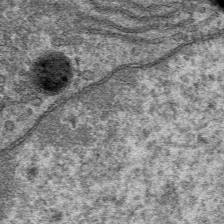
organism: Mouse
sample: Mouse hepatocytes